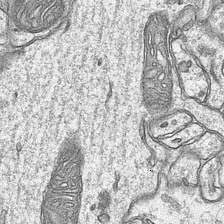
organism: Mouse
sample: CA1 Hippocampus